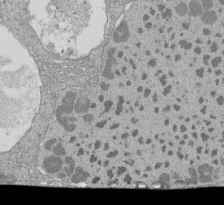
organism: Tetrahymena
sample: Cilia in tetrahymena